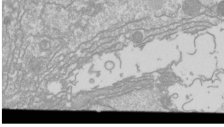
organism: Drosophila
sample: Cell division; meiosis; drosophila spermatocytes